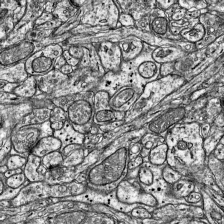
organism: Mouse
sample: Visual Cortex